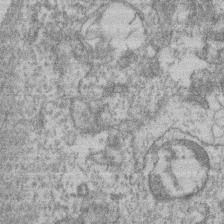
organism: Mouse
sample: T cell stromal cell synapse